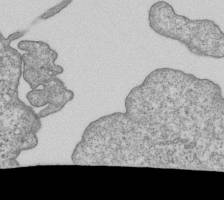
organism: Human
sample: MDA-MB-231 cells